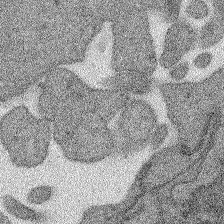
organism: Human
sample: HeLa cells